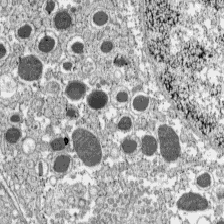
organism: C57BL Mouse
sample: Pancreatic islet